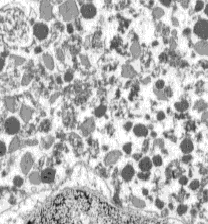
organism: C57BL Mouse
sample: Pancreatic islet